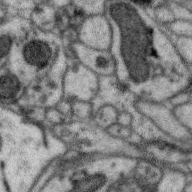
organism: Zebra finch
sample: Brain